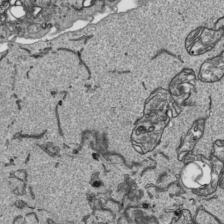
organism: Human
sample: Mitochondria in HCT116 cells